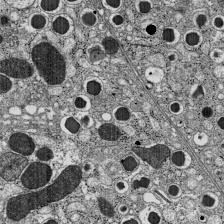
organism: C57BL Mouse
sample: Pancreatic islet